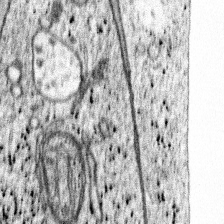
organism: Human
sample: HeLa cells